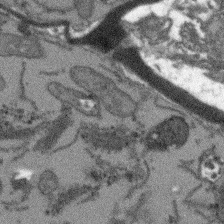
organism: Arabidopsis thaliana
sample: Root tip